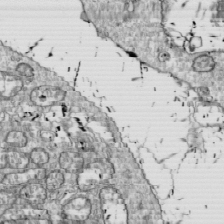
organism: Drosophila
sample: Cell division; meiosis; drosophila spermatocytes